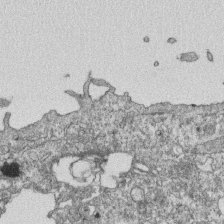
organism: Human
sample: HeLa cell HIV synapse